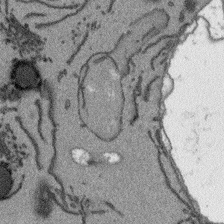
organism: Arabidopsis thaliana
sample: Root tip